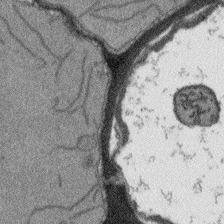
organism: Arabidopsis thaliana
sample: Root tip